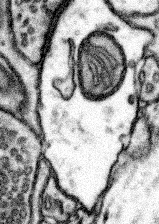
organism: Mouse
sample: Somatosensory cortex neuropil